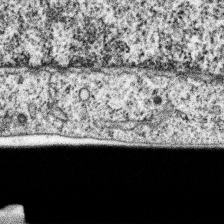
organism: Human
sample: HeLa cells